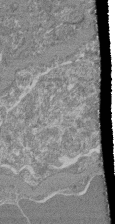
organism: Mouse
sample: Glomerulus